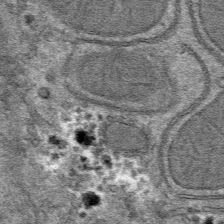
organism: Mouse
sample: Mouse hepatocytes